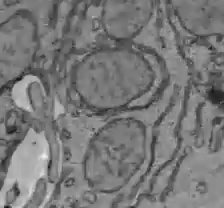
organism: C57BL Mouse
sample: Liver